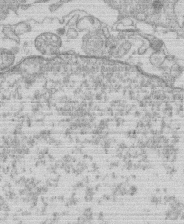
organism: Human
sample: Macrophage cells